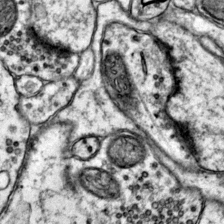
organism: Mouse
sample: Primary visual cortex